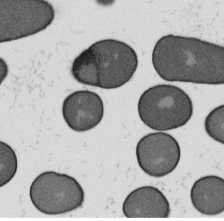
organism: B. subtilis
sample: Bacterial spore